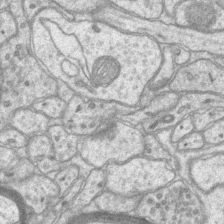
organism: Mouse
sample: CA1 Hippocampus